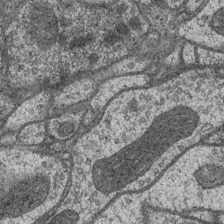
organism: Drosophila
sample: Optic medulla